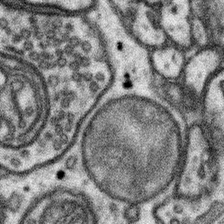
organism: Mouse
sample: Somatosensory cortex neuropil